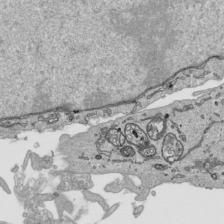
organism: Human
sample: Mitochondria in HCT116 cells